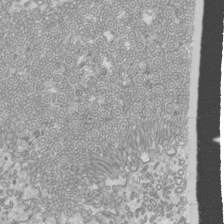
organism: Mouse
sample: Cilia; mouse epididymis